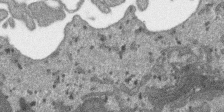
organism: Human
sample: Lung epithelial cells infected with SARS-CoV-2